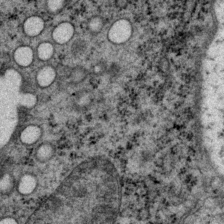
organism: P. pacificus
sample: Pharynx